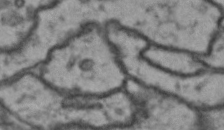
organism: Drosophila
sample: Brain